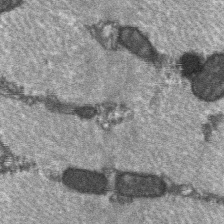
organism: C57BL Mouse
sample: Soleus